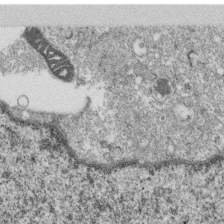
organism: African green monkey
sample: Vero E6 cells infected with SARS-CoV-2